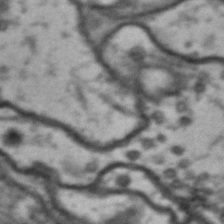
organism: Drosophila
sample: Brain